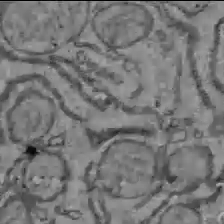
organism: C57BL Mouse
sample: Liver